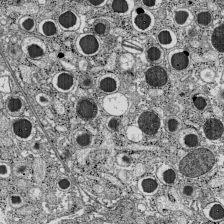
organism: C57BL Mouse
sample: Pancreatic islet